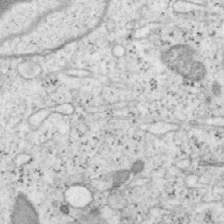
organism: Mouse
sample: OT-I killer T cells with ID8 ovarian cancer cells